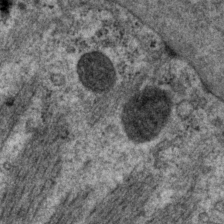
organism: P. pacificus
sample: Pharynx